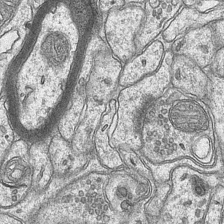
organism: Mouse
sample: CA1 Hippocampus